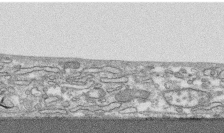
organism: Human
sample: CRL-1474